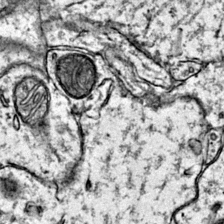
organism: Mouse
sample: Primary visual cortex